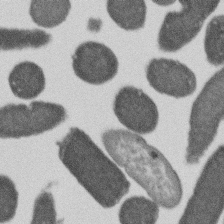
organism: E. coli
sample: Bacterial nucleoid